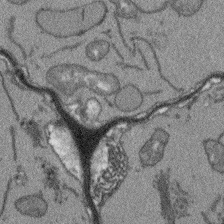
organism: Arabidopsis thaliana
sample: Root tip